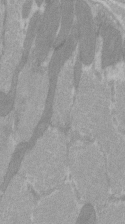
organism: C57BL Mouse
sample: Tibialis anterior muscle cell